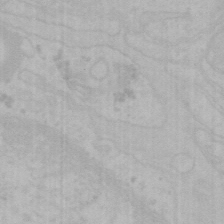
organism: Mouse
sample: Choroid plexus